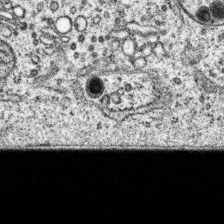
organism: Human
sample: HeLa cells